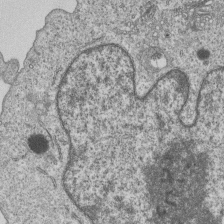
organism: Human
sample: MDA-MB-231 cells